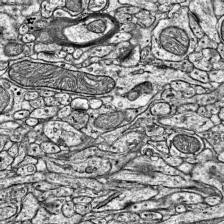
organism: Mouse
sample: Visual Cortex